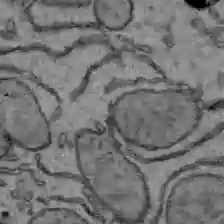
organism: C57BL Mouse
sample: Liver